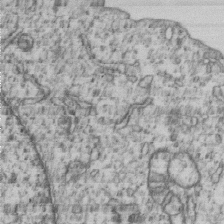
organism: Human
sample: MDA-MB-231 cells